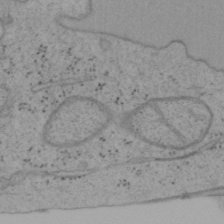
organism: Human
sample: HeLa cells